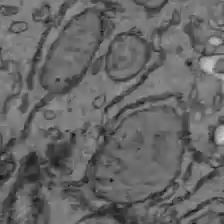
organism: C57BL Mouse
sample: Liver